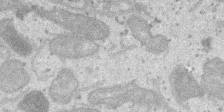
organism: Human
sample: Lung epithelial cells infected with SARS-CoV-2